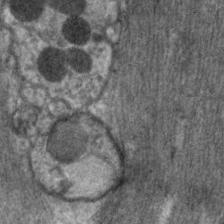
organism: C. elegans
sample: Pharynx